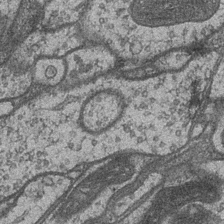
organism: Drosophila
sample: Optic medulla